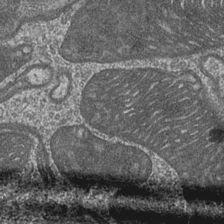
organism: Drosophila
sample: Optic medulla